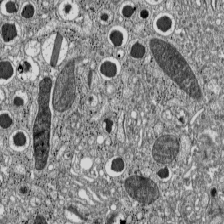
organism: C57BL Mouse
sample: Pancreatic islet